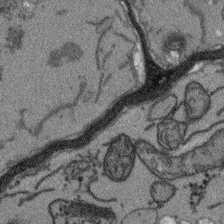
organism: Arabidopsis thaliana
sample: Root tip